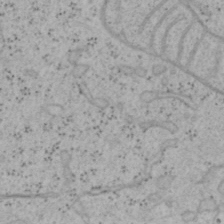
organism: Human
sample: HeLa cells